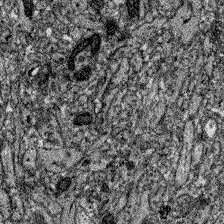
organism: Zebrafish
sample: Larval olfactory bulb